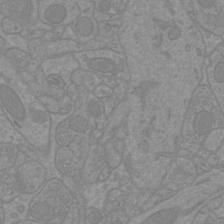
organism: Mouse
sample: Cortical neurons